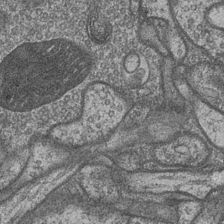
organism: Drosophila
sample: Optic medulla